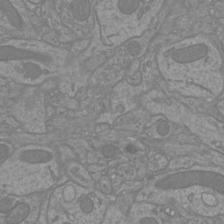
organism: Mouse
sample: Cortical neurons